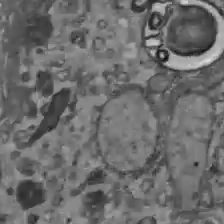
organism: C57BL Mouse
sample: Liver